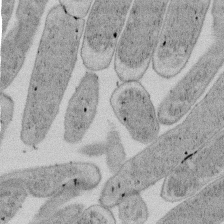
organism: E. coli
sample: Bacterial nucleoid